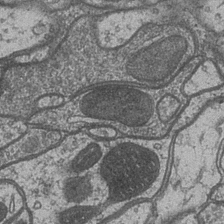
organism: Drosophila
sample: Optic medulla